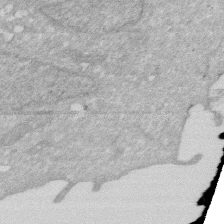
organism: Human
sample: HIV infected U937 cells